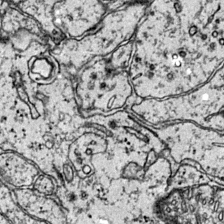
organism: Mouse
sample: Primary visual cortex